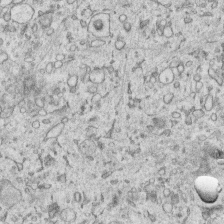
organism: Human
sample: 1205lu cells